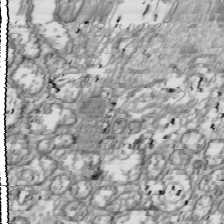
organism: Drosophila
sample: Cell division; meiosis; drosophila spermatocytes